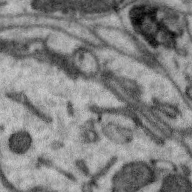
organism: Zebra finch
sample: Brain